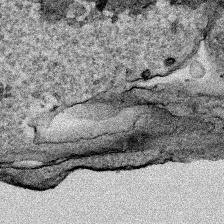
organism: Human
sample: Mitochondria in HCT116 cells